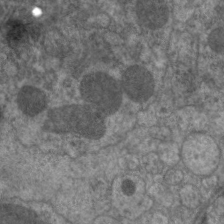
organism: C. elegans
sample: Pharynx